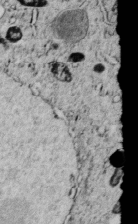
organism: C. elegans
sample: C. elegans embryo early stage